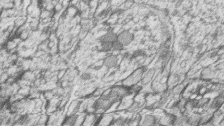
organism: Zebrafish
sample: synaptic ribbons in rod cells and cone cells